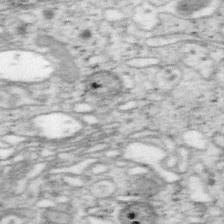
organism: Mouse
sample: OT-I killer T cells with ID8 ovarian cancer cells